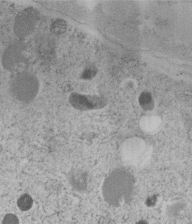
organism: C. elegans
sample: C. elegans embryo early stage